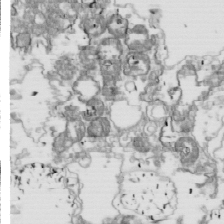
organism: Drosophila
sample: Cell division; meiosis; drosophila spermatocytes